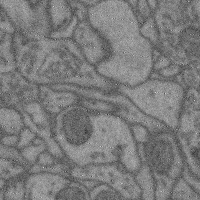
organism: Mouse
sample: Cerebral cortex